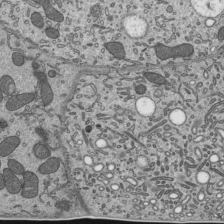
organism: Mouse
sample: Mouse epididymis efferent ductule cilia